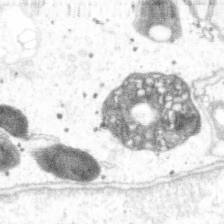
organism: Human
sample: HeLa cells